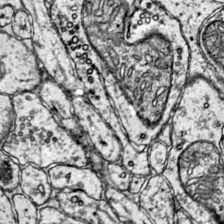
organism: Mouse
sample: Primary visual cortex